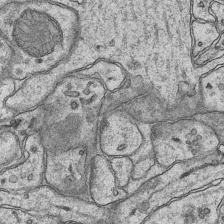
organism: Mouse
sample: CA1 Hippocampus